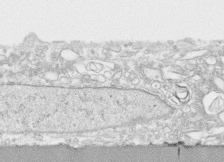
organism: Human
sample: CRL-1474